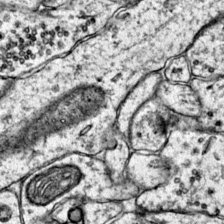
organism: Mouse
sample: Primary visual cortex